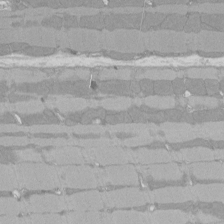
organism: Rat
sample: Left ventricle